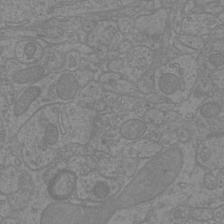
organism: Mouse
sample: Cortical neurons